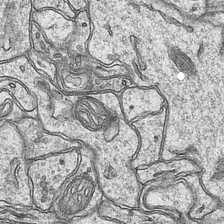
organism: Mouse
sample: CA1 Hippocampus